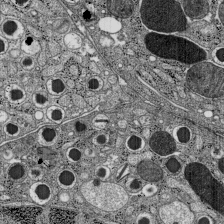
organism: C57BL Mouse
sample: Pancreatic islet